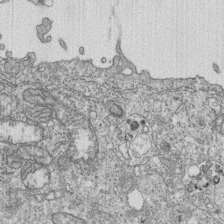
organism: Human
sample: HeLa cell HIV synapse